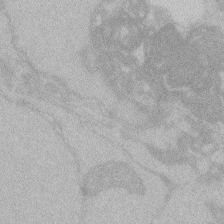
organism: Zebrafish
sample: Macrophage infected with Toxoplasma gondii